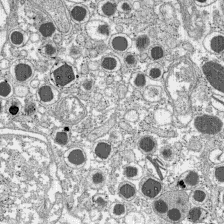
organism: C57BL Mouse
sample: Pancreatic islet